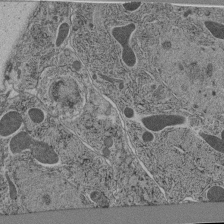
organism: C. elegans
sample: C. elegans pharynx